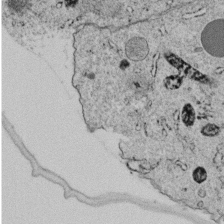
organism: C. elegans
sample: C. elegans embryo early stage